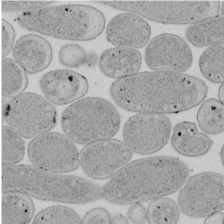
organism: E. coli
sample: Bacterial nucleoid